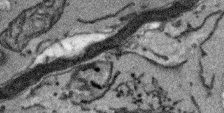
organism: Arabidopsis thaliana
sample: Root tip